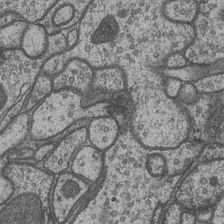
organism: Drosophila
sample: Optic medulla